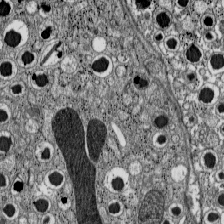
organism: C57BL Mouse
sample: Pancreatic islet